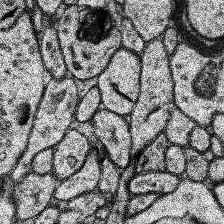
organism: Human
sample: Temporal Lobe